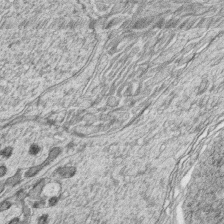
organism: Zebrafish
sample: synaptic ribbons in rod cells and cone cells